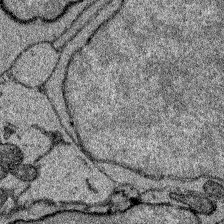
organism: Zebrafish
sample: Larval olfactory bulb